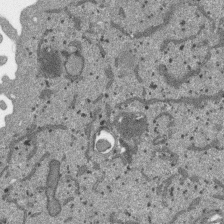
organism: Human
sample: Lung epithelial cells infected with SARS-CoV-2